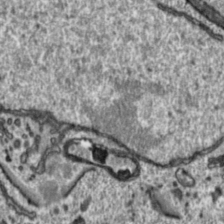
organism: Toxoplasma gondii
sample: Parasites in a vacuole inside a host cell